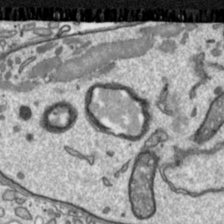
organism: Toxoplasma gondii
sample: Parasites in a vacuole inside a host cell